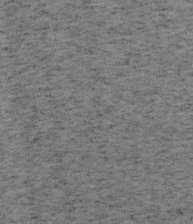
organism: Mouse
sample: OT-I killer T cells with ID8 ovarian cancer cells